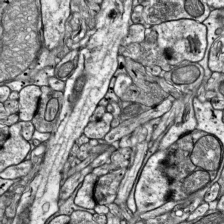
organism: Mouse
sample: Visual Cortex